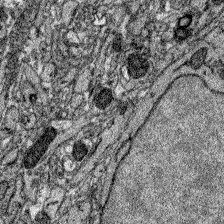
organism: Zebrafish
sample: Larval olfactory bulb